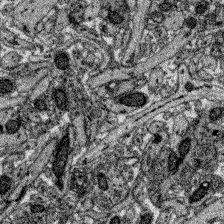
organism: Zebrafish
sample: Larval olfactory bulb